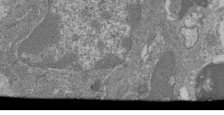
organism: Mouse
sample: Glomerulus